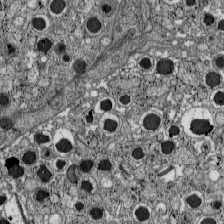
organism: C57BL Mouse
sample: Pancreatic islet